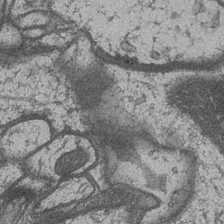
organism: Drosophila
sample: Optic medulla